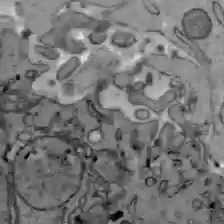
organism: C57BL Mouse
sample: Liver